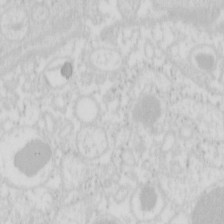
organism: Mouse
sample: Pancreas